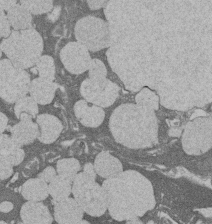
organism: Rat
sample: Salivary granule